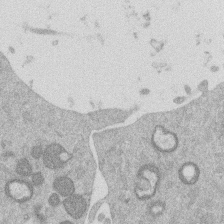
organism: Mouse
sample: Dividing mouse embryo 1 cell stage